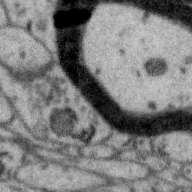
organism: Zebra finch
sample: Brain